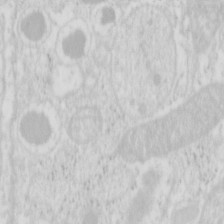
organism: Mouse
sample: Pancreas